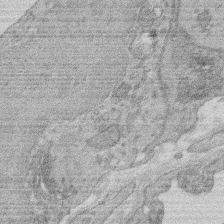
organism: Rat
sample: Salivary granule